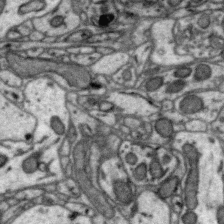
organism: Zebra finch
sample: Brain